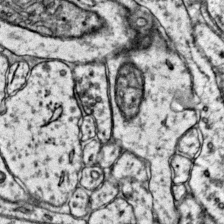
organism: Mouse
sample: Primary visual cortex